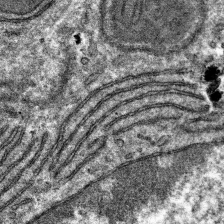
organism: Mouse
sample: Mouse hepatocytes